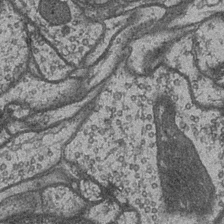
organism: Drosophila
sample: Optic medulla